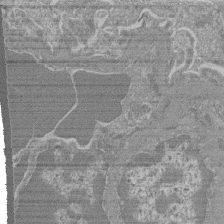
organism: Mouse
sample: Glomerulus